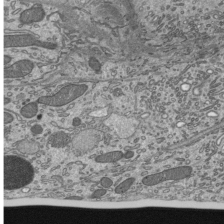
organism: Mouse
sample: Mouse epididymis efferent ductule cilia